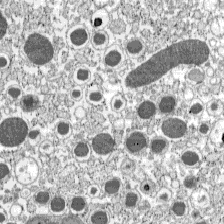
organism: C57BL Mouse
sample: Pancreatic islet